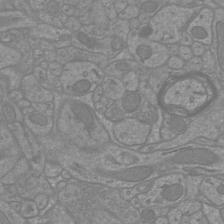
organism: Mouse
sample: Cortical neurons